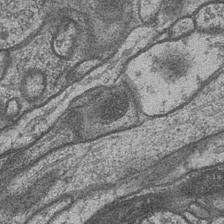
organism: Drosophila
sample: Optic medulla